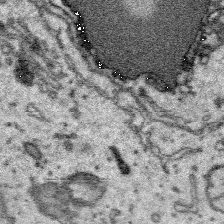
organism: Platynereis dumerilii